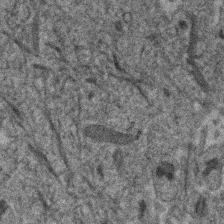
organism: Human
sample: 1205lu cells